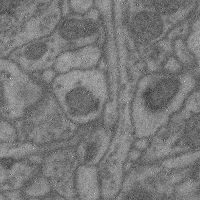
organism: Mouse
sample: Cerebral cortex